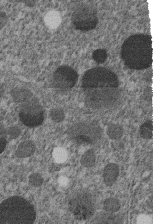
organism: C. elegans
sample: C. elegans embryo early stage